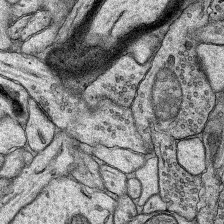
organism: Rat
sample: Hippocampus